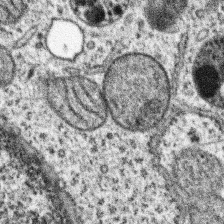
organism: Human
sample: HeLa cells